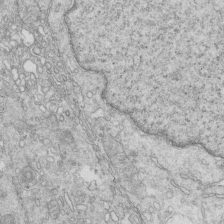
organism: Mouse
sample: Multiciliated cells